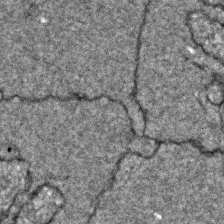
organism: Zebrafish